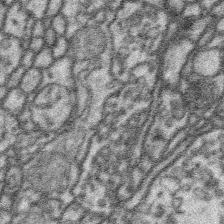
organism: Platynereis dumerilii